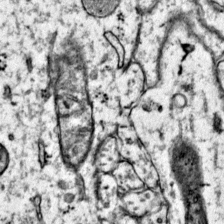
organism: Mouse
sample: Primary visual cortex